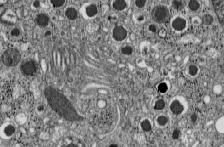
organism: C57BL Mouse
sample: Pancreatic islet